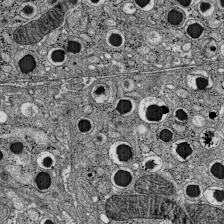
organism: C57BL Mouse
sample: Pancreatic islet